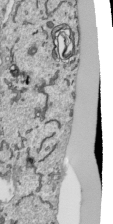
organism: Human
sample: Mitochondria in HCT116 cells